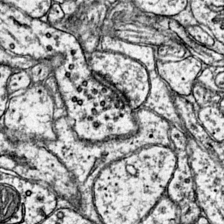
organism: Mouse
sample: Primary visual cortex